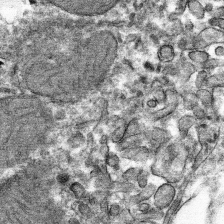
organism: Mouse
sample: Mouse hepatocytes